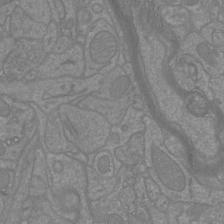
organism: Mouse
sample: Cortical neurons